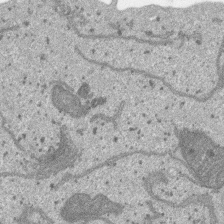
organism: Human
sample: Lung epithelial cells infected with SARS-CoV-2